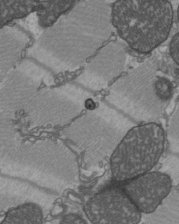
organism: C57BL Mouse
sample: Heart